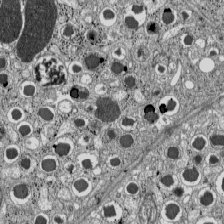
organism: C57BL Mouse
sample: Pancreatic islet